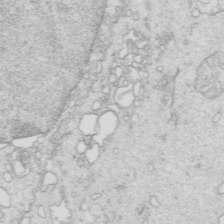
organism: Mouse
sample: Multiciliated cells